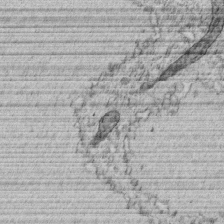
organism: C. elegans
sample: C. elegans embryo early stage